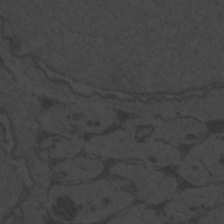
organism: Zebrafish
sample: Macrophage infected with Toxoplasma gondii